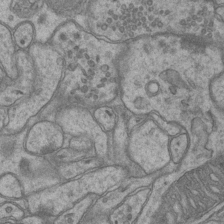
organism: Mouse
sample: CA1 Hippocampus